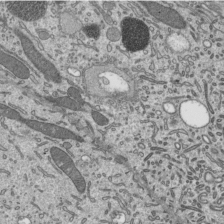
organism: Mouse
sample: Mouse epididymis efferent ductule cilia